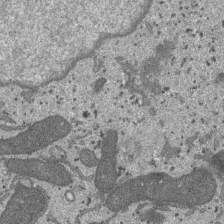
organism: Human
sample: Lung epithelial cells infected with SARS-CoV-2